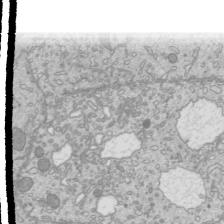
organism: Mouse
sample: Cilia; mouse epididymis